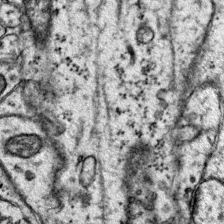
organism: Mouse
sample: Primary visual cortex